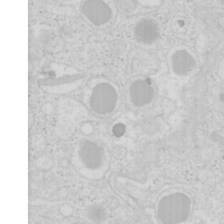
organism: Mouse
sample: Pancreas